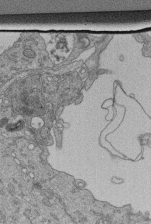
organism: Human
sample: Retinal organoid Rod and Cone cells